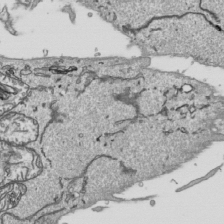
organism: Human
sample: Mitochondria in HCT116 cells